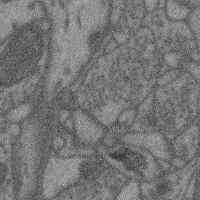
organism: Mouse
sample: Cerebral cortex